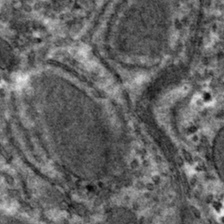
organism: Mouse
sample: Mouse hepatocytes